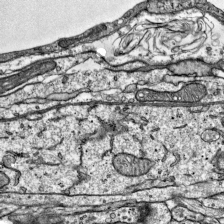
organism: Mouse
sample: Visual Cortex